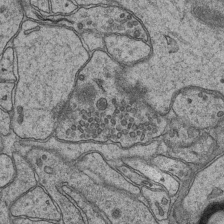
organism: Mouse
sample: CA1 Hippocampus